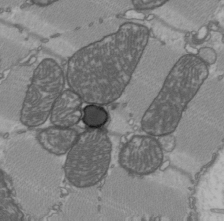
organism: C57BL Mouse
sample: Heart